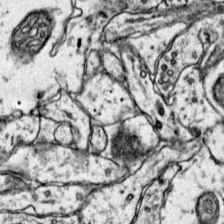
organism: Mouse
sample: Primary visual cortex